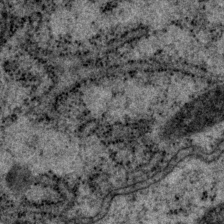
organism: P. pacificus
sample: Pharynx